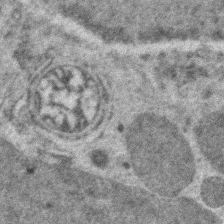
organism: Zebrafish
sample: Zebrafish embryo